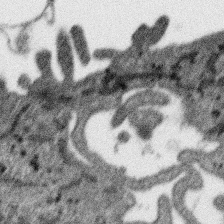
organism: Human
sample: Lung epithelial cells infected with SARS-CoV-2